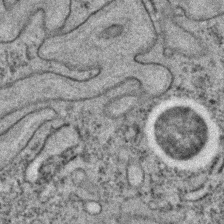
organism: C. elegans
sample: C. elegans embryo